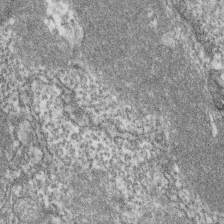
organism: Zebrafish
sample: Cilia; retinal pigment epithelium